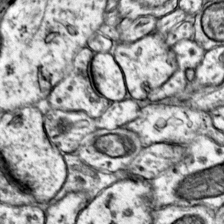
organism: Mouse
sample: Primary visual cortex